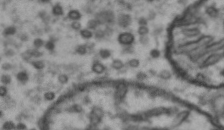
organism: Drosophila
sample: Brain